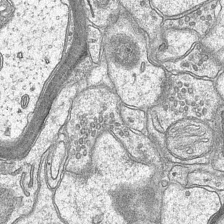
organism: Mouse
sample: CA1 Hippocampus